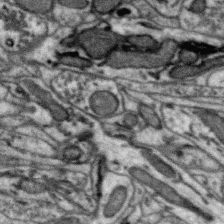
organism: Zebra finch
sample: Brain